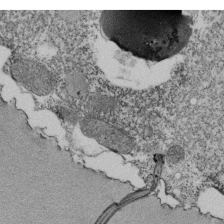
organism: Tetrahymena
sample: Cilia in tetrahymena